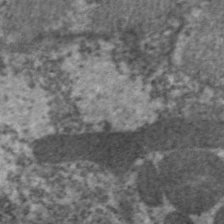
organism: C. elegans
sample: Pharynx